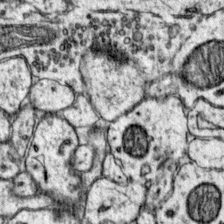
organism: Mouse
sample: Primary visual cortex